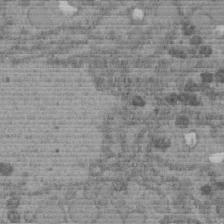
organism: C. elegans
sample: C. elegans embryo early stage